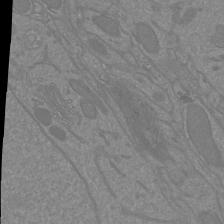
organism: Mouse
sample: Cortical neurons